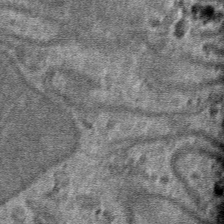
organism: Mouse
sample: Mouse hepatocytes